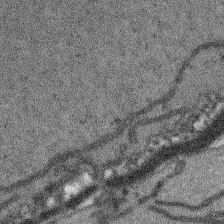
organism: Arabidopsis thaliana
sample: Root tip